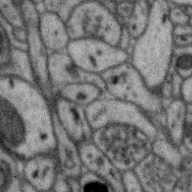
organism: Zebra finch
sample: Brain